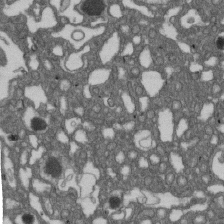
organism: Drosophila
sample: Nephrocyte